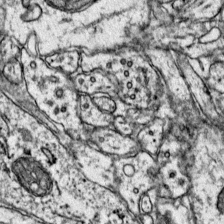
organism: Mouse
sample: Primary visual cortex